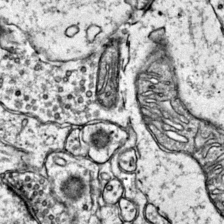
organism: Mouse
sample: Primary visual cortex